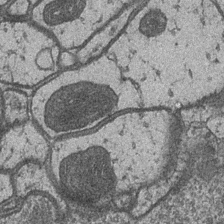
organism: Drosophila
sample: Optic medulla